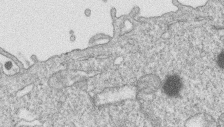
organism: Human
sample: HeLa cell HIV synapse